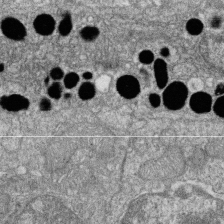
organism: Zebrafish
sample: Cilia; retinal pigment epithelium